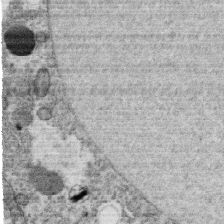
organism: C. elegans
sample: C. elegans oocyte; sperm cells